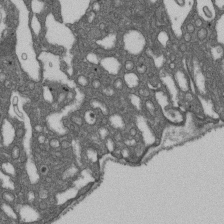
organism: Drosophila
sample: Nephrocyte